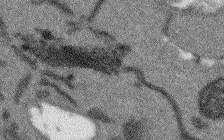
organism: Arabidopsis thaliana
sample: Root tip